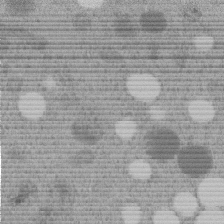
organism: C. elegans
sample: C. elegans embryo early stage